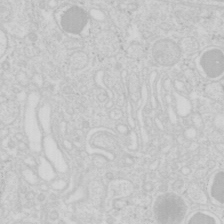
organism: Mouse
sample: Pancreas